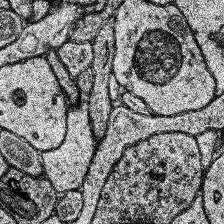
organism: Human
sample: Temporal Lobe